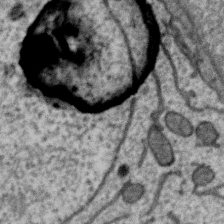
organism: Zebra finch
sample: Brain